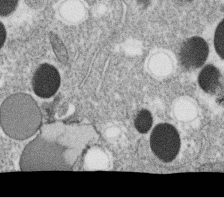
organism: C. elegans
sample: C. elegans oocyte; sperm cells